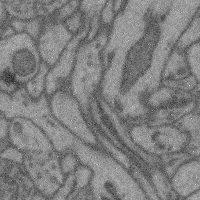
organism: Mouse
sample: Cerebral cortex